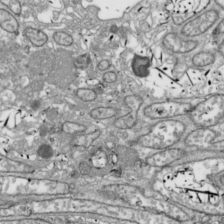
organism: Drosophila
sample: Cell division; meiosis; drosophila spermatocytes